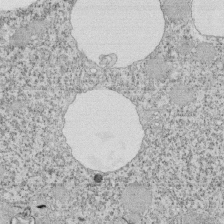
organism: Tetrahymena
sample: Cilia in tetrahymena